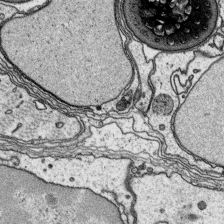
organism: Platynereis dumerilii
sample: Parapodia